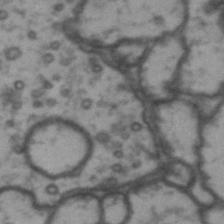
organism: Drosophila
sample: Brain